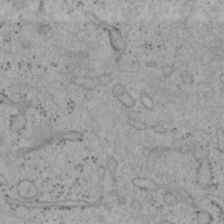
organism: Human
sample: HeLa cells